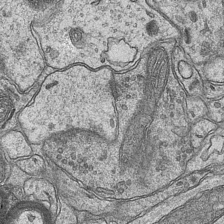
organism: Mouse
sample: CA1 Hippocampus